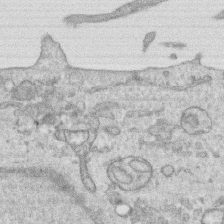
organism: Human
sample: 1205lu cells